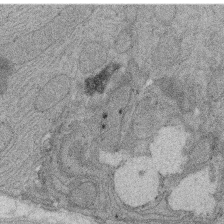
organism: Rat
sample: Salivary granule